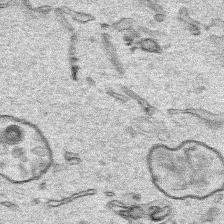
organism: Human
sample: Mitochondria in HCT116 cells